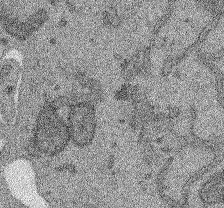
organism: Human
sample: HeLa cells